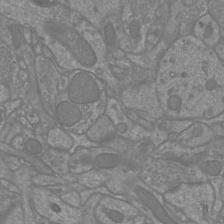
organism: Mouse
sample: Cortical neurons